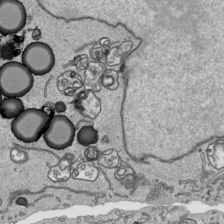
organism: Human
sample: Mitochondria in HCT116 cells